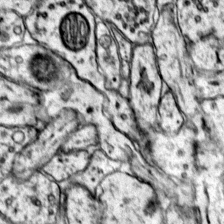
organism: Mouse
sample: Primary visual cortex